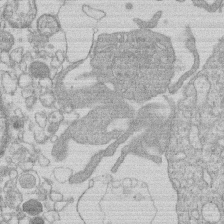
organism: Human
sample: Macrophage cells